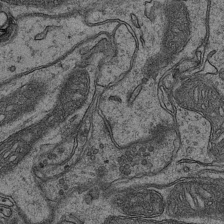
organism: Mouse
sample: CA1 Hippocampus